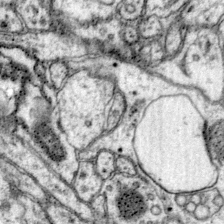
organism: Mouse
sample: Primary visual cortex